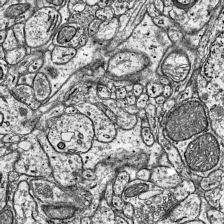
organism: Mouse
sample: Visual Cortex